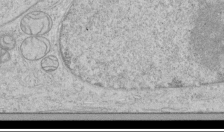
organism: Human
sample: Mitochondria in HCT116 cells